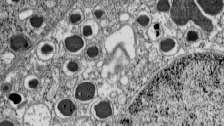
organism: C57BL Mouse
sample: Pancreatic islet